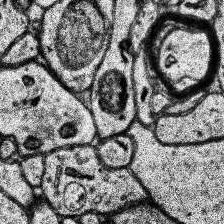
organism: Human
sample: Temporal Lobe